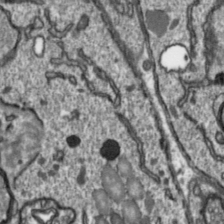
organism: Toxoplasma gondii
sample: Parasites in a vacuole inside a host cell